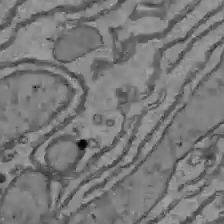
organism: C57BL Mouse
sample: Liver